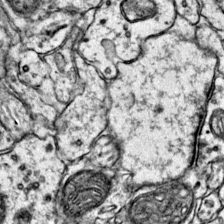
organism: Mouse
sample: Primary visual cortex